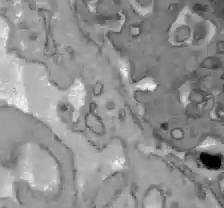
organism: C57BL Mouse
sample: Liver